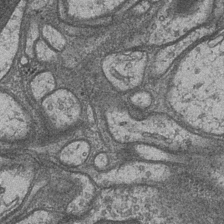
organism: Drosophila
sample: Optic medulla